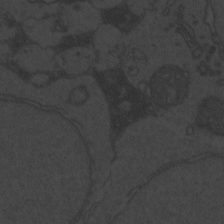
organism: Zebrafish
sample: Macrophage infected with Toxoplasma gondii